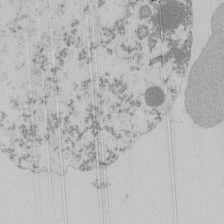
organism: Mouse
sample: Activated Pmel transgenic CD8+ T Cells